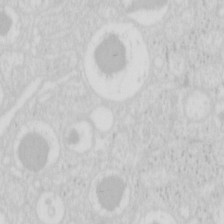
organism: Mouse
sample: Pancreas